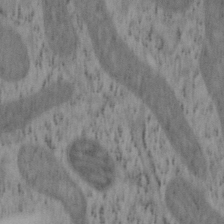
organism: Mouse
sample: OT-I killer T cells with ID8 ovarian cancer cells